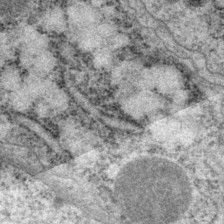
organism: P. pacificus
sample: Pharynx